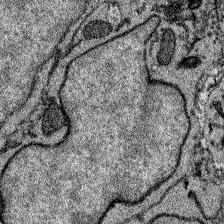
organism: Zebrafish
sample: Larval olfactory bulb